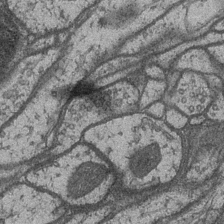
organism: Drosophila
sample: Optic medulla